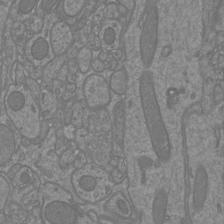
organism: Mouse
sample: Cortical neurons